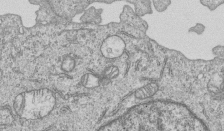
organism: Human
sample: MDA-MB-231 cells